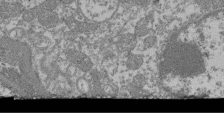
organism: Mouse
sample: Glomerulus